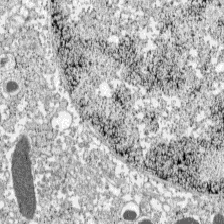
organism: C57BL Mouse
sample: Pancreatic islet